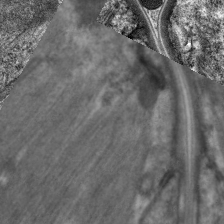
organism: C. elegans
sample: Pharynx